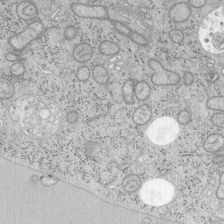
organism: Mouse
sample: OT-I killer T cells with ID8 ovarian cancer cells